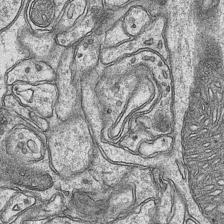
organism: Mouse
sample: CA1 Hippocampus